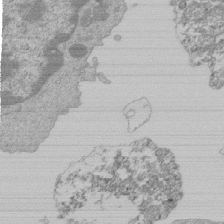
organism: Mouse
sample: Activated Pmel transgenic CD8+ T Cells